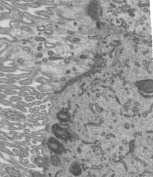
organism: Mouse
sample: Mouse epididymis efferent ductule cilia